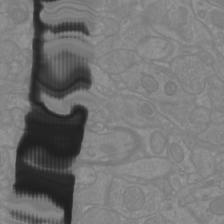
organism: Mouse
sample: Cortical neurons